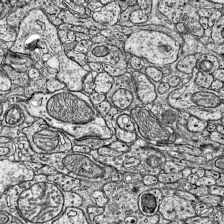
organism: Mouse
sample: Visual Cortex